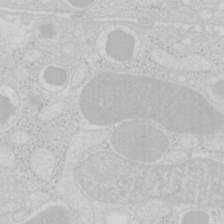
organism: Mouse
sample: Pancreas